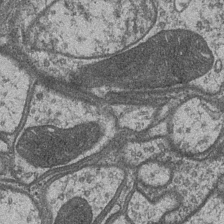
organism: Drosophila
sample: Optic medulla